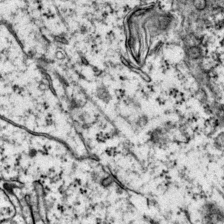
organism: Mouse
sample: Primary visual cortex